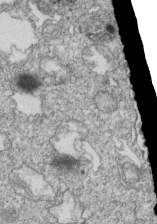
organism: Human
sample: HeLa cell HIV synapse